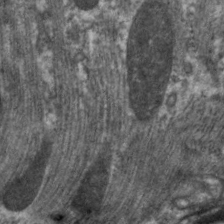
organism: C. elegans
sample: Pharynx